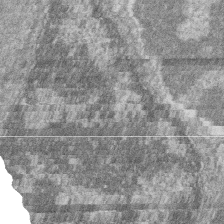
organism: Zebrafish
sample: Cilia; retinal pigment epithelium